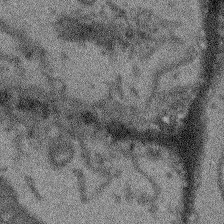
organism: Arabidopsis thaliana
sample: Root tip